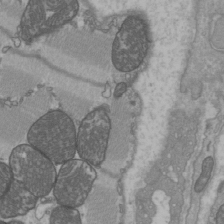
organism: C57BL Mouse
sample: Heart